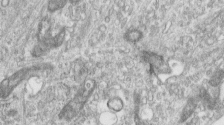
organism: Human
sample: Centriole in RPE cells